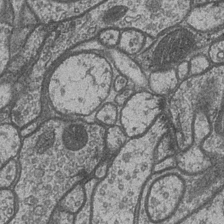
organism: Drosophila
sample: Optic medulla